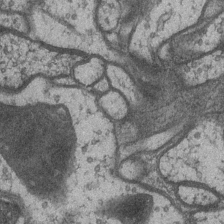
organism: Drosophila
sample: Optic medulla